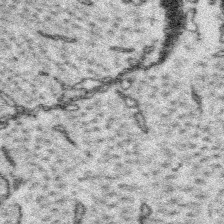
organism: Platynereis dumerilii